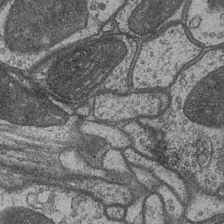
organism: Drosophila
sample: Optic medulla